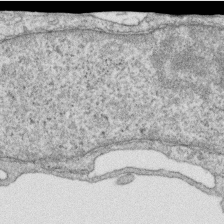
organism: Human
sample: Centriole in RPE cells